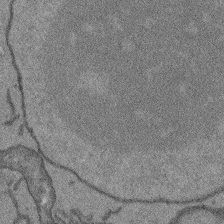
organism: Arabidopsis thaliana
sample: Root tip